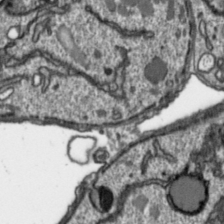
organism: Toxoplasma gondii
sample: Parasites in a vacuole inside a host cell